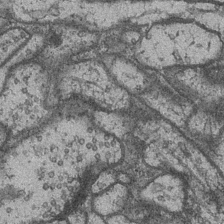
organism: Drosophila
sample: Optic medulla